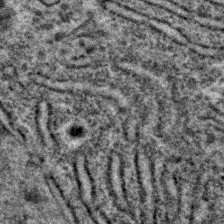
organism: C. elegans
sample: C. elegans embryo